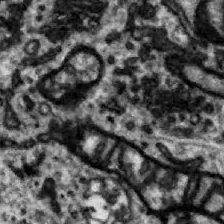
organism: Human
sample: HeLa cells